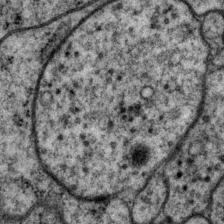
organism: P. pacificus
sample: Pharynx